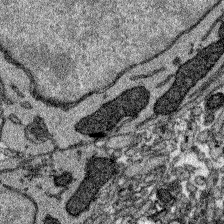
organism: Zebrafish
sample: Larval olfactory bulb